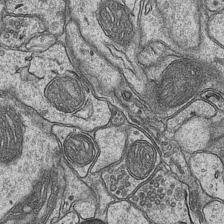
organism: Mouse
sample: CA1 Hippocampus